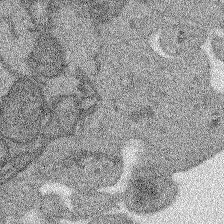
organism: Human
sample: HeLa cells